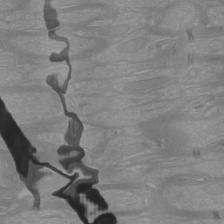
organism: Mouse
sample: Cortical neurons